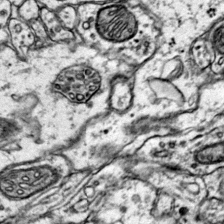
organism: Mouse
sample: Primary visual cortex